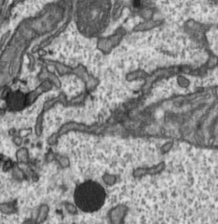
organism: Toxoplasma gondii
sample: Parasites in a vacuole inside a host cell